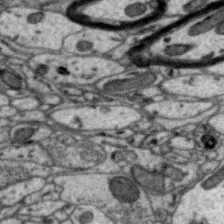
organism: Zebra finch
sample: Brain